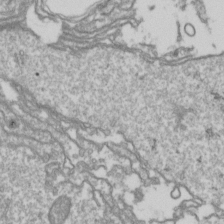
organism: Drosophila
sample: Cell division; meiosis; drosophila spermatocytes